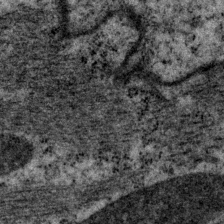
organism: P. pacificus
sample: Pharynx